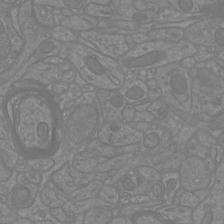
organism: Mouse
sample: Cortical neurons